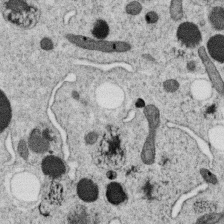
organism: C. elegans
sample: C. elegans oocyte; sperm cells